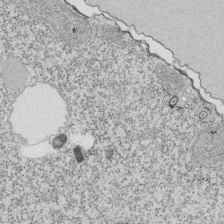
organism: Tetrahymena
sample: Cilia in tetrahymena